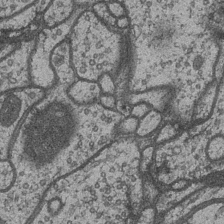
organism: Drosophila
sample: Optic medulla